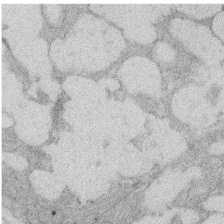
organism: Rat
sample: Salivary granule